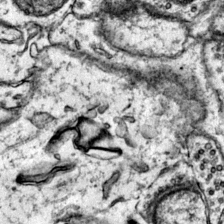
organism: Mouse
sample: Primary visual cortex